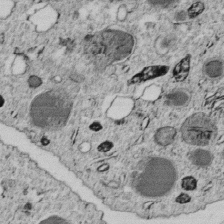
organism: C. elegans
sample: C. elegans embryo early stage